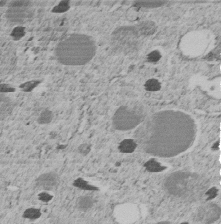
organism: C. elegans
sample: C. elegans embryo early stage